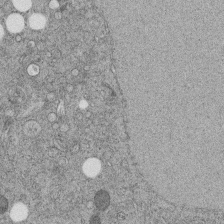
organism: C. elegans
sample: C. elegans embryo early stage